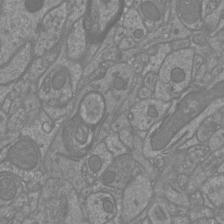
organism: Mouse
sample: Cortical neurons